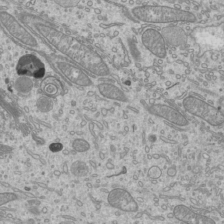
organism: Mouse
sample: Cilia; mouse epididymis